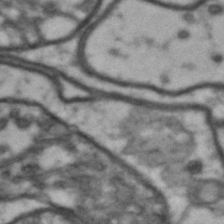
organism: Drosophila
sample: Brain